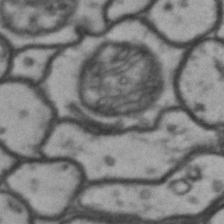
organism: Drosophila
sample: Brain